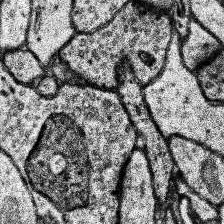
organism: Human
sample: Temporal Lobe